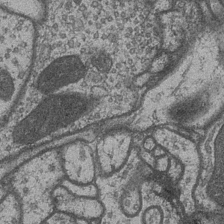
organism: Drosophila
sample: Optic medulla